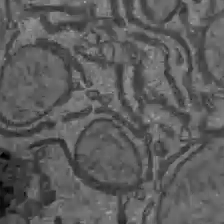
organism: C57BL Mouse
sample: Liver